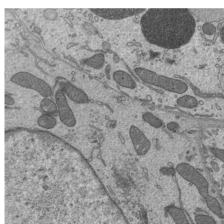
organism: Mouse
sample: Mouse epididymis efferent ductule cilia